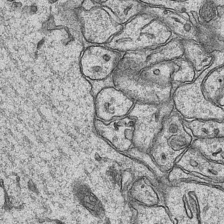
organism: Mouse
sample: CA1 Hippocampus